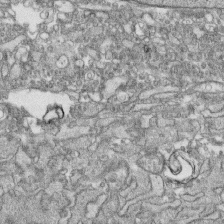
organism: Human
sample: CRL-1474